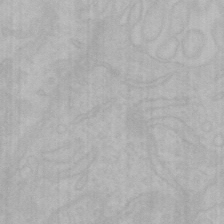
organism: Mouse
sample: Choroid plexus